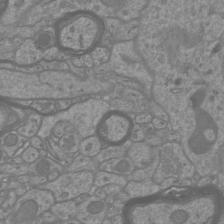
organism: Mouse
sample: Cortical neurons